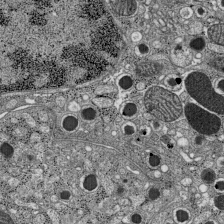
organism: C57BL Mouse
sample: Pancreatic islet